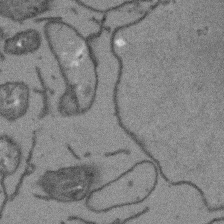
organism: Arabidopsis thaliana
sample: Root tip